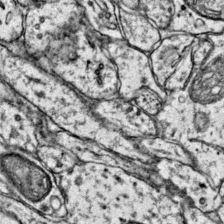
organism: Mouse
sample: Primary visual cortex